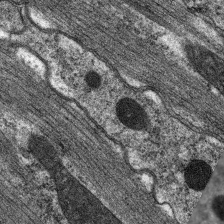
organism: C. elegans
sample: Pharynx